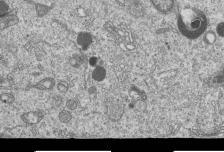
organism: Human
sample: MDA-MB-231 cells